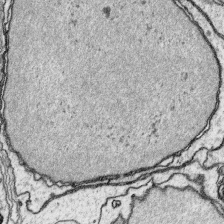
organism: Platynereis dumerilii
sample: Parapodia